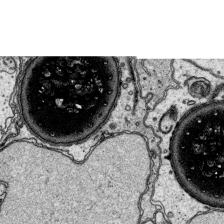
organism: Platynereis dumerilii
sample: Parapodia